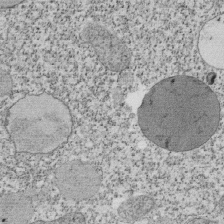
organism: Tetrahymena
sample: Cilia in tetrahymena